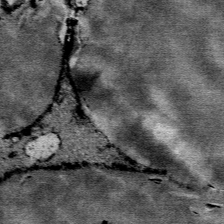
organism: Mouse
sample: Mouse Salivary gland